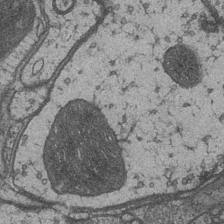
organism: Drosophila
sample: Optic medulla